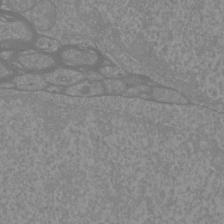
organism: Mouse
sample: Cortical neurons